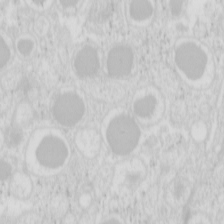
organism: Mouse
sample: Pancreas